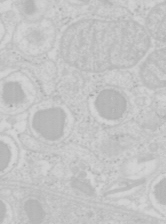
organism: Mouse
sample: Pancreas